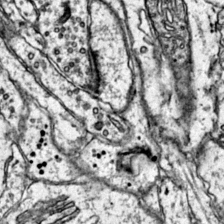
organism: Mouse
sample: Primary visual cortex